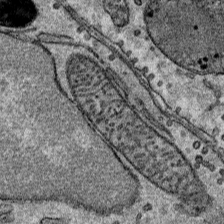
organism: Mouse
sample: Mouse Salivary gland